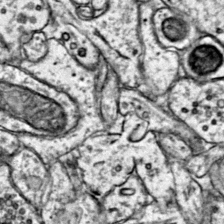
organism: Mouse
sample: Primary visual cortex